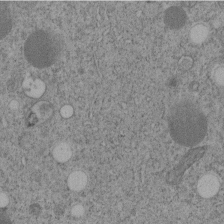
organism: C. elegans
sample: C. elegans embryo early stage